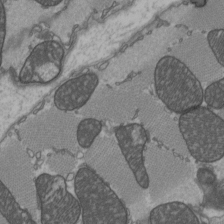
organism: C57BL Mouse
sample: Heart